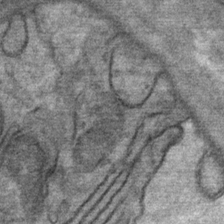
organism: Mouse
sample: Mouse Salivary gland